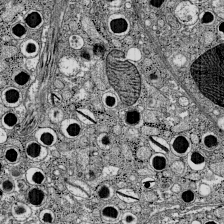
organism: C57BL Mouse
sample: Pancreatic islet